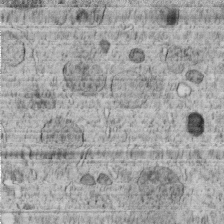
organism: C. elegans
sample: C. elegans embryo early stage